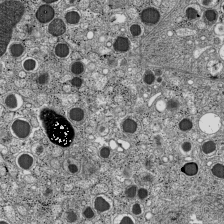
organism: C57BL Mouse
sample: Pancreatic islet